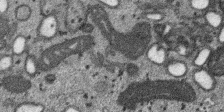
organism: Human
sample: Lung epithelial cells infected with SARS-CoV-2